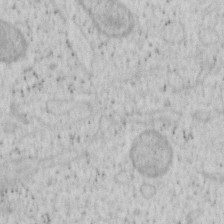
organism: Human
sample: HeLa cells